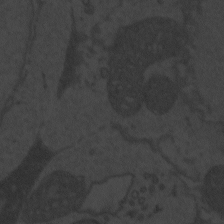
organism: Zebrafish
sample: Macrophage infected with Toxoplasma gondii